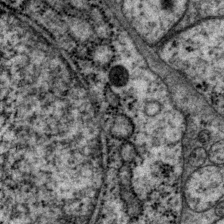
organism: P. pacificus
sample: Pharynx